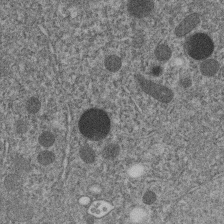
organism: C. elegans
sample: C. elegans embryo early stage